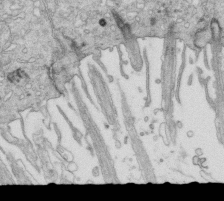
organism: Mouse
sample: Multiciliated cells